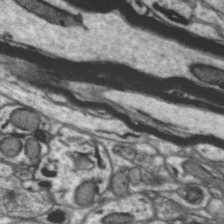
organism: Zebra finch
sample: Brain